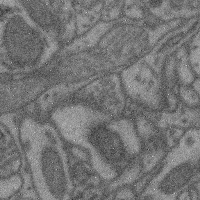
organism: Mouse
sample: Cerebral cortex